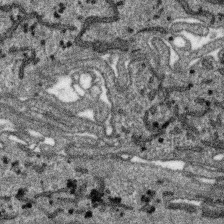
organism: Human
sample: Lung epithelial cells infected with SARS-CoV-2